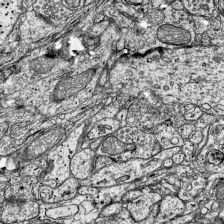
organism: Mouse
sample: Visual Cortex